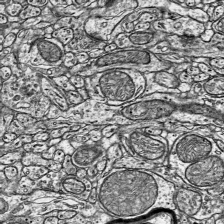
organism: Mouse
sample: Visual Cortex